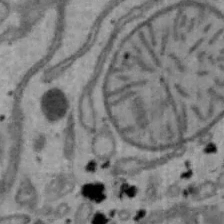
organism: Mouse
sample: Liver